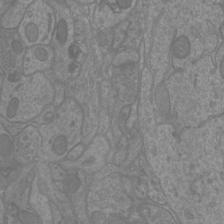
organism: Mouse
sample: Cortical neurons